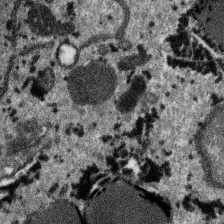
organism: Human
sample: Lung epithelial cells infected with SARS-CoV-2